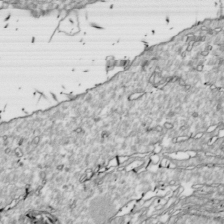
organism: Drosophila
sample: Cell division; meiosis; drosophila spermatocytes